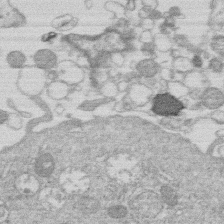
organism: Human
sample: Macrophage cells